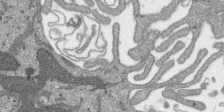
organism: Human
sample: Lung epithelial cells infected with SARS-CoV-2